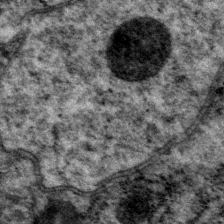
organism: P. pacificus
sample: Pharynx